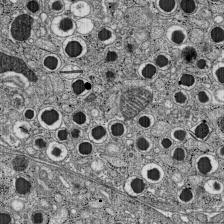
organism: C57BL Mouse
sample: Pancreatic islet